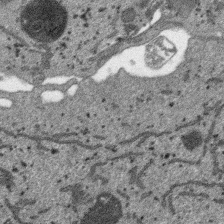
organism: Human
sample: Lung epithelial cells infected with SARS-CoV-2